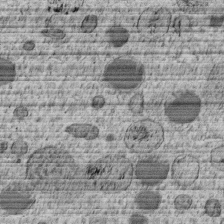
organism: C. elegans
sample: C. elegans embryo early stage